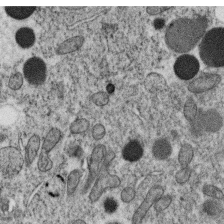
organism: C. elegans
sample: C. elegans oocyte; sperm cells